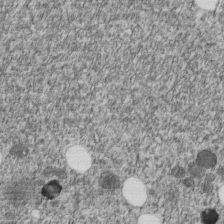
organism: C. elegans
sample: C. elegans embryo early stage